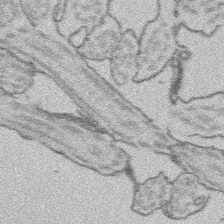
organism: Platynereis dumerilii